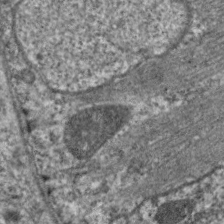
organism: C. elegans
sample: Pharynx